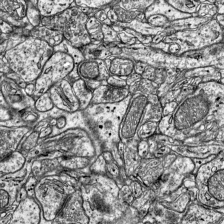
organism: Mouse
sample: Visual Cortex